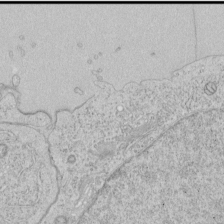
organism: Human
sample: Mitochondria in HCT116 cells